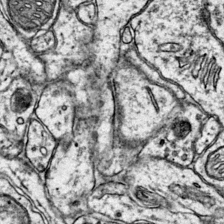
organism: Mouse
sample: Primary visual cortex